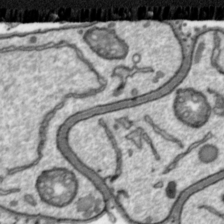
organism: Toxoplasma gondii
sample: Parasites in a vacuole inside a host cell